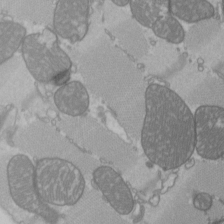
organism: C57BL Mouse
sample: Heart